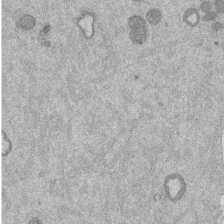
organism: Mouse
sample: Dividing mouse embryo 1 cell stage